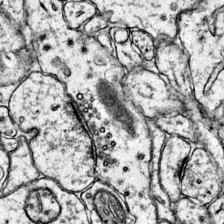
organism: Mouse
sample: Primary visual cortex